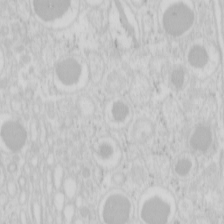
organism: Mouse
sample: Pancreas